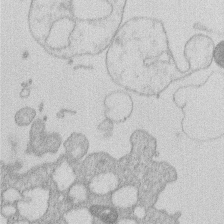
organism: Human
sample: Macrophage cells